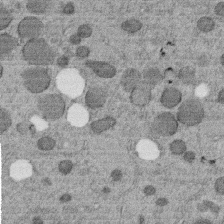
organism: C. elegans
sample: C. elegans embryo early stage